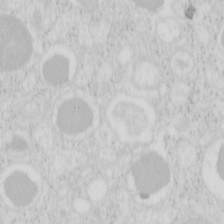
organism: Mouse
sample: Pancreas